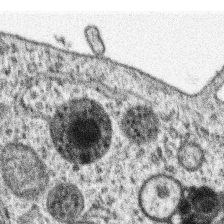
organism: Human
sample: HeLa cells